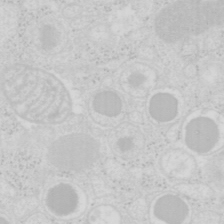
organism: Mouse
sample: Pancreas